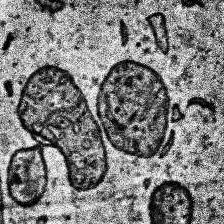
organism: Human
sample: Temporal Lobe